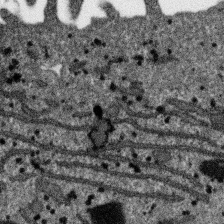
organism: Human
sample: Lung epithelial cells infected with SARS-CoV-2